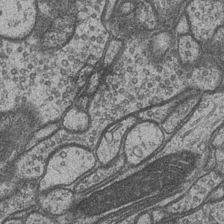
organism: Drosophila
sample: Optic medulla